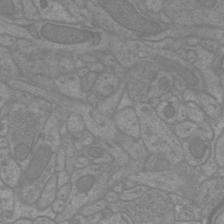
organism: Mouse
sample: Cortical neurons